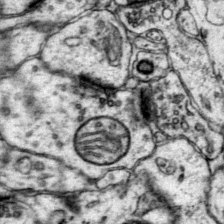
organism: Mouse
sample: Primary visual cortex